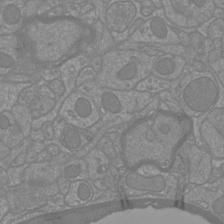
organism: Mouse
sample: Cortical neurons